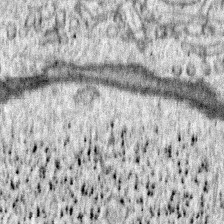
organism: Human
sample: HeLa cells